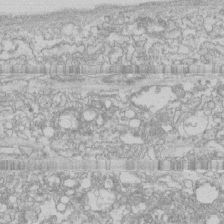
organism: Human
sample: CRL-1474